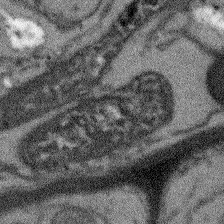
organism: Arabidopsis thaliana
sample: Root tip